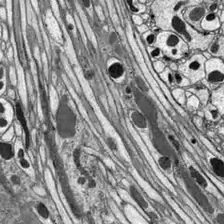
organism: Drosophila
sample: Optic lobe